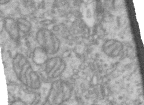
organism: Human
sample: Centriole in RPE cells